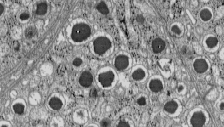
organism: C57BL Mouse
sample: Pancreatic islet